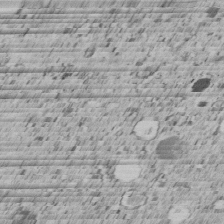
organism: C. elegans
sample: C. elegans embryo early stage